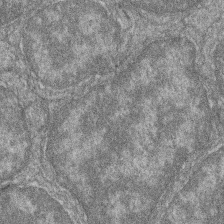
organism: Zebrafish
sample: Cilia; retinal pigment epithelium